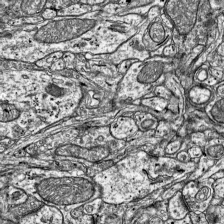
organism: Mouse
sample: Visual Cortex